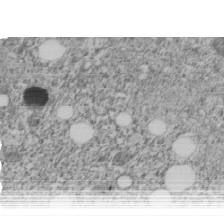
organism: C. elegans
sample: C. elegans embryo early stage